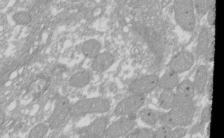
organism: Xenopus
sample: Cilia; centrioles in frog embryo cells